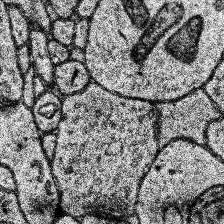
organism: Human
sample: Temporal Lobe